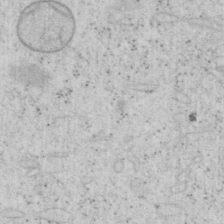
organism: Human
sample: HeLa cells